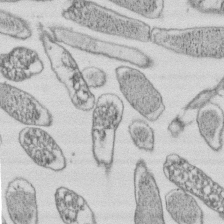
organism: E. coli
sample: Bacterial nucleoid